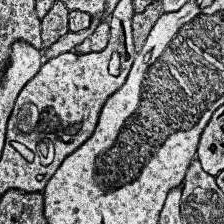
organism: Human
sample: Temporal Lobe